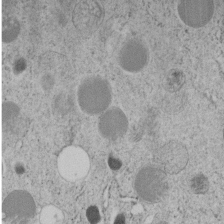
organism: C. elegans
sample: C. elegans embryo early stage